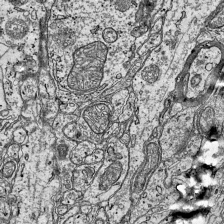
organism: Mouse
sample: Visual Cortex